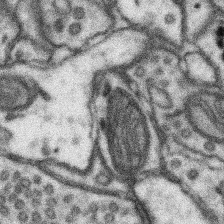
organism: Mouse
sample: Somatosensory cortex neuropil